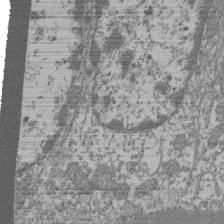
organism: Mouse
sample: Glomerulus